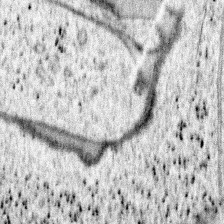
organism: Human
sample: HeLa cells